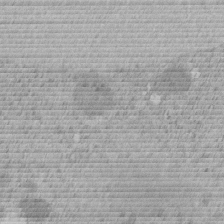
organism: C. elegans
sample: C. elegans embryo early stage